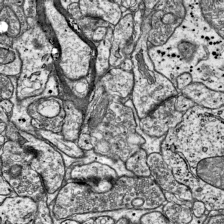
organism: Mouse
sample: Visual Cortex